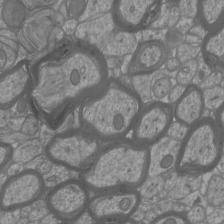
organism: Mouse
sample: Cortical neurons